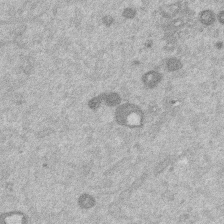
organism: Mouse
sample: Dividing mouse embryo 1 cell stage